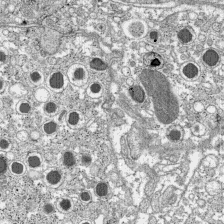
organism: C57BL Mouse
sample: Pancreatic islet